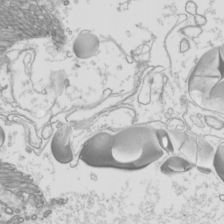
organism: Mouse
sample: Cilia; mouse epididymis